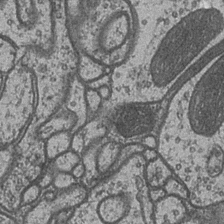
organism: Drosophila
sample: Optic medulla